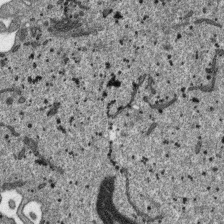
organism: Human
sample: Lung epithelial cells infected with SARS-CoV-2